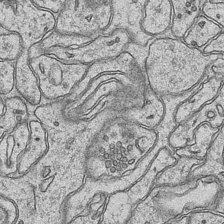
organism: Mouse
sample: CA1 Hippocampus